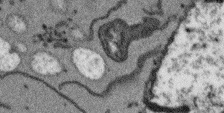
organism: Arabidopsis thaliana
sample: Root tip